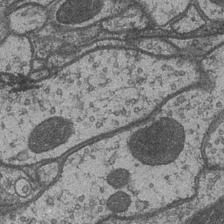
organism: Drosophila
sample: Optic medulla